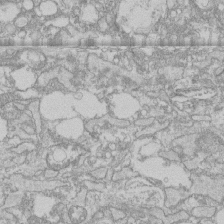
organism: Human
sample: CRL-1474